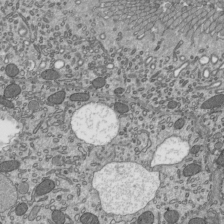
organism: Mouse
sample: Mouse epididymis efferent ductule cilia